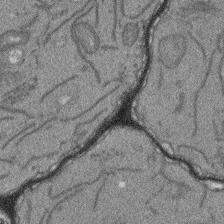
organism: Arabidopsis thaliana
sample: Root tip